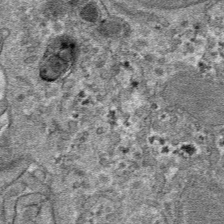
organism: Mouse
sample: Mouse hepatocytes